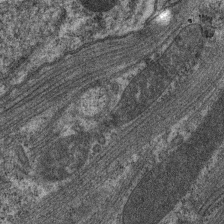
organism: C. elegans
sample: Pharynx